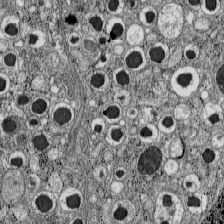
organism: C57BL Mouse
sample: Pancreatic islet